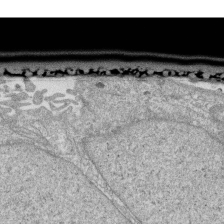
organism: Human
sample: HeLa cell HIV synapse